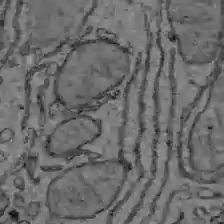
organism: C57BL Mouse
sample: Liver